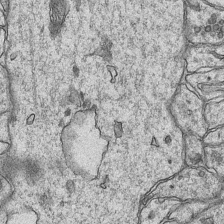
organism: Mouse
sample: CA1 Hippocampus